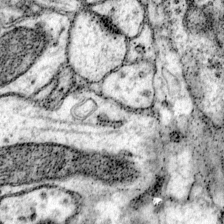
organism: Mouse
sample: Primary visual cortex